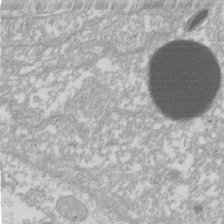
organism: Xenopus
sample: Cilia; centrioles in frog embryo cells